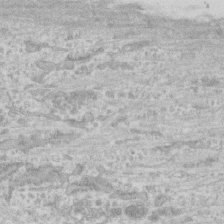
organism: Human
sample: CRL-1474